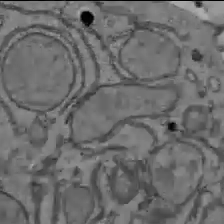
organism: C57BL Mouse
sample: Liver